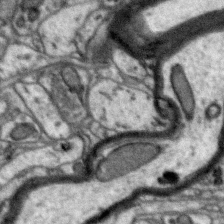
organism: Zebra finch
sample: Brain